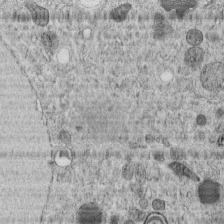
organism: C. elegans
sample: C. elegans embryo early stage